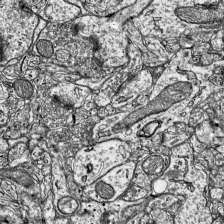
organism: Mouse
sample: Visual Cortex